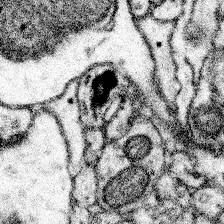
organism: Mouse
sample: Somatosensory cortex neuropil